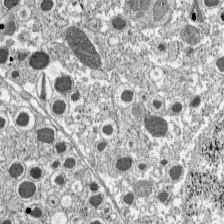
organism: C57BL Mouse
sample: Pancreatic islet